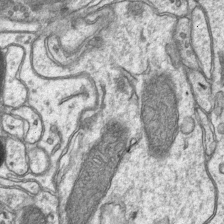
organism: Mouse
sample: CA1 Hippocampus